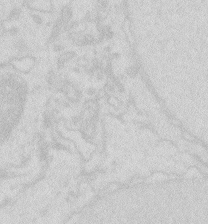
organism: Zebrafish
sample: Macrophage